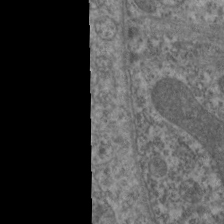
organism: C. elegans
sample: Pharynx